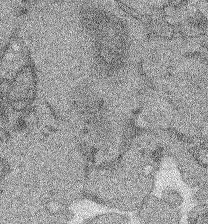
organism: Human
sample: HeLa cells